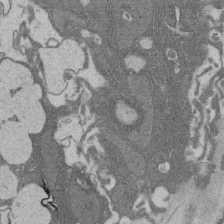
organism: Rat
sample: Salivary granule